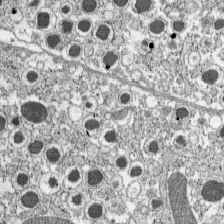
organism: C57BL Mouse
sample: Pancreatic islet